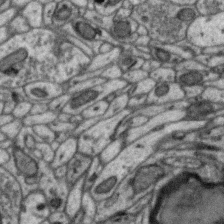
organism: Zebra finch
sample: Brain